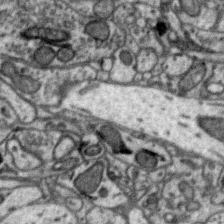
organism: Zebra finch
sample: Brain